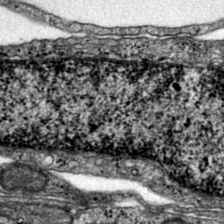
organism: Mouse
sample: Primary visual cortex